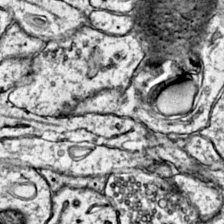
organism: Mouse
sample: Primary visual cortex